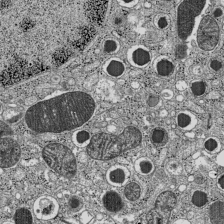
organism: C57BL Mouse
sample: Pancreatic islet